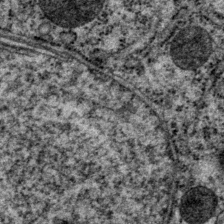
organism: P. pacificus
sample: Pharynx